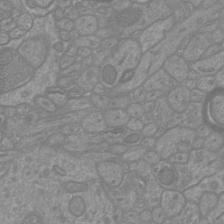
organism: Mouse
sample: Cortical neurons